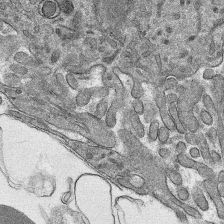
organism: Mouse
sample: Mouse hepatocytes